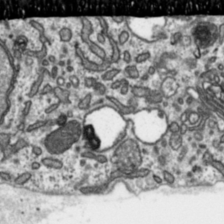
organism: Toxoplasma gondii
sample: Parasites in a vacuole inside a host cell